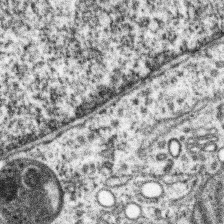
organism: Human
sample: HeLa cells